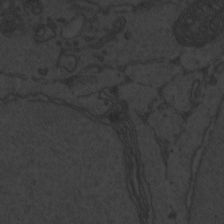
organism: Zebrafish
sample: Macrophage infected with Toxoplasma gondii